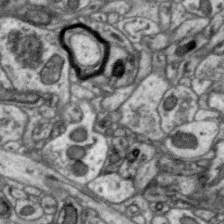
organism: Zebra finch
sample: Brain